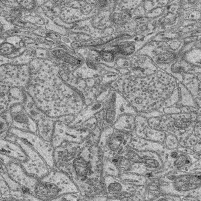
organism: Mouse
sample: Retina